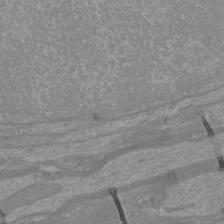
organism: Mouse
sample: Cortical neurons